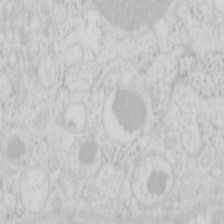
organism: Mouse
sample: Pancreas